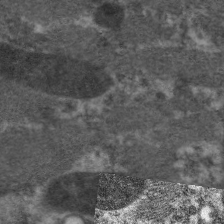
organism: C. elegans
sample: Pharynx